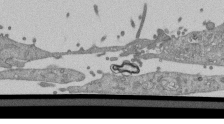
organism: Mouse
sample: ED-1 cell nuclei; centrioles